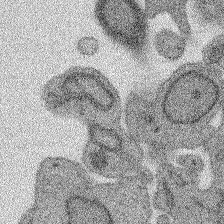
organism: Human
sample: HeLa cells